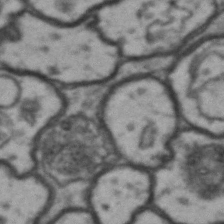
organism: Drosophila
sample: Brain